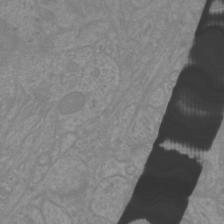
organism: Mouse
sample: Cortical neurons